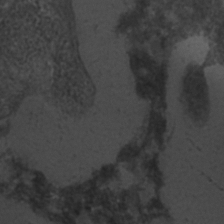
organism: C. elegans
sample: C. elegans embryo